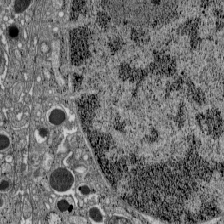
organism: C57BL Mouse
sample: Pancreatic islet